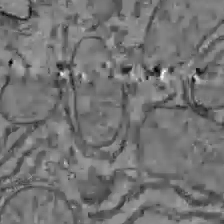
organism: C57BL Mouse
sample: Liver